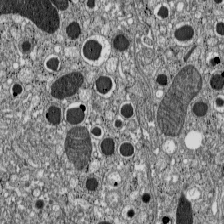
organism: C57BL Mouse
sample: Pancreatic islet